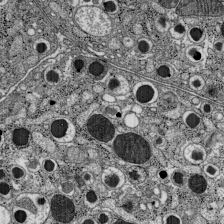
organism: C57BL Mouse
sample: Pancreatic islet